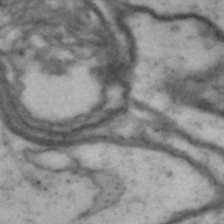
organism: Drosophila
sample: Brain